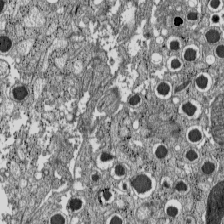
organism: C57BL Mouse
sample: Pancreatic islet